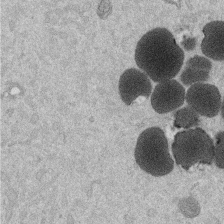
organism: Mouse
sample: Dividing mouse embryo 1 cell stage